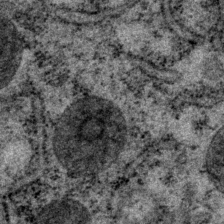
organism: P. pacificus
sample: Pharynx